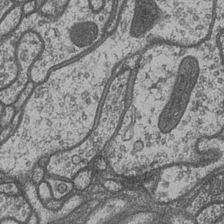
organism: Drosophila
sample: Optic medulla